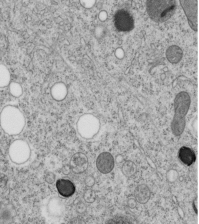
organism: C. elegans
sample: C. elegans embryo early stage